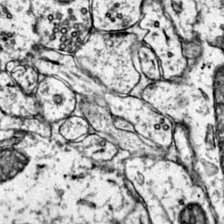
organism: Mouse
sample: Primary visual cortex